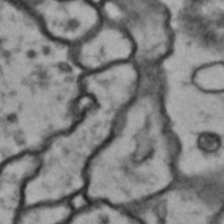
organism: Drosophila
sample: Brain